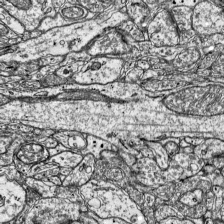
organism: Mouse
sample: Visual Cortex